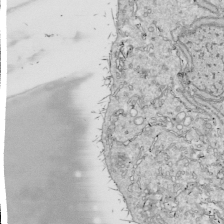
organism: Drosophila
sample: Cell division; meiosis; drosophila spermatocytes